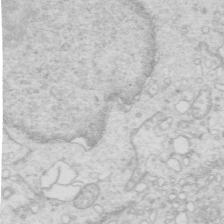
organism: Mouse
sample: Multiciliated cells